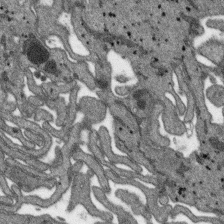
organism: Human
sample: Lung epithelial cells, uninfected (mock) control